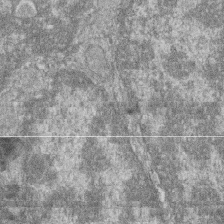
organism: Zebrafish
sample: Cilia; retinal pigment epithelium